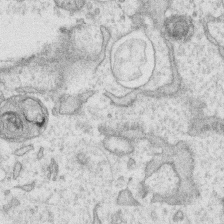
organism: Human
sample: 1205lu cells